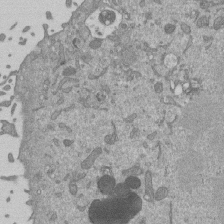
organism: Mouse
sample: ED-1 cell nuclei; centrioles